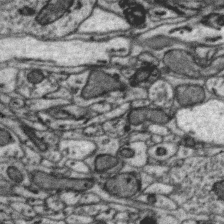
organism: Zebra finch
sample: Brain